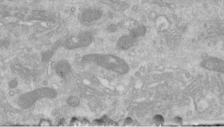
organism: Human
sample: Centriole in RPE cells